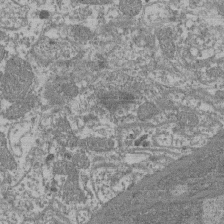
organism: Mouse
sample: Glomerulus